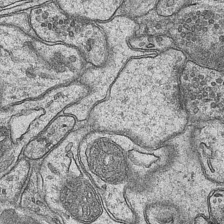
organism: Mouse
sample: CA1 Hippocampus